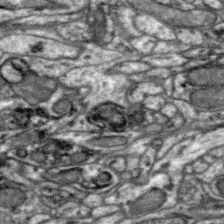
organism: Zebra finch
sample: Brain